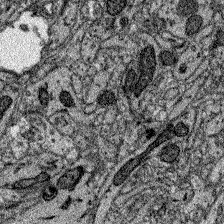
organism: Zebrafish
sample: Larval olfactory bulb